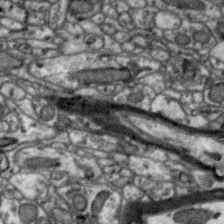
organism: Zebra finch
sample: Brain